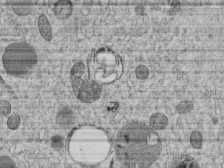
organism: C. elegans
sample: C. elegans embryo early stage